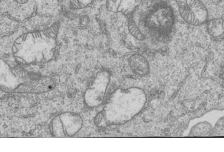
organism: Human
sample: MDA-MB-231 cells